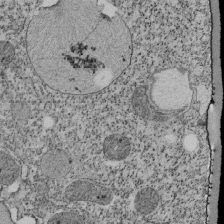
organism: Tetrahymena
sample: Cilia in tetrahymena